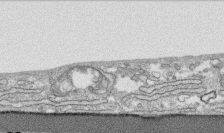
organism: Human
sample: CRL-1474